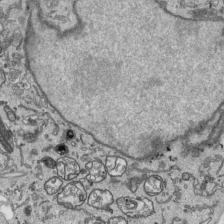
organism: Human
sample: Mitochondria in HCT116 cells